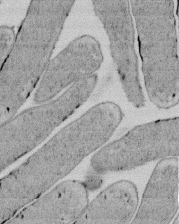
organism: E. coli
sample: Bacterial nucleoid